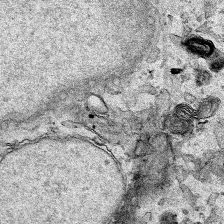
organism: Human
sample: Mitochondria in HCT116 cells